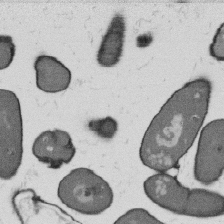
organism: B. subtilis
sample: Bacterial spore